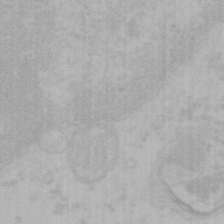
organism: Mouse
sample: Choroid plexus